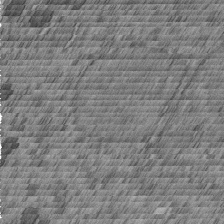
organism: C. elegans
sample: C. elegans embryo early stage